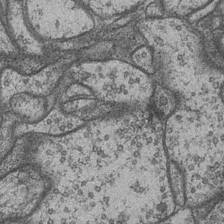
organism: Drosophila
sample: Optic medulla